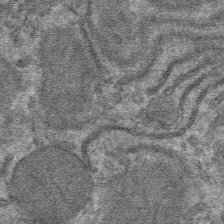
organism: Mouse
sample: Mouse hepatocytes